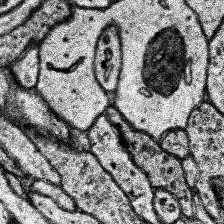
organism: Human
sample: Temporal Lobe